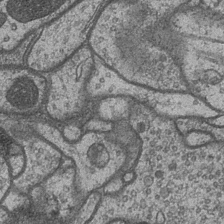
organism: Drosophila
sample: Optic medulla